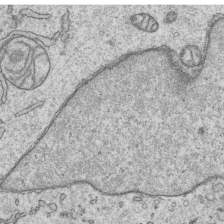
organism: Human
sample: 1205lu cells